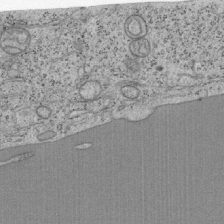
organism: Human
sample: HeLa cells